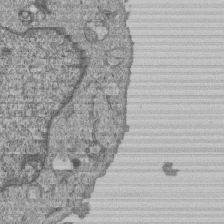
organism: Human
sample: MDA-MB-231 cells